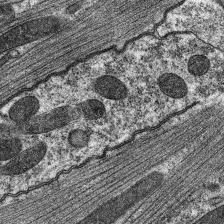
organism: C. elegans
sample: Pharynx